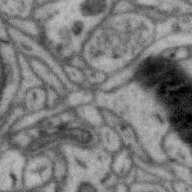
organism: Zebra finch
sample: Brain